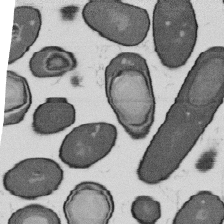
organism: B. subtilis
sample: Bacterial spore